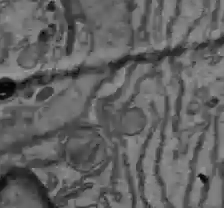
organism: C57BL Mouse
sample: Liver